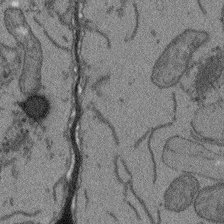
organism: Arabidopsis thaliana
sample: Root tip